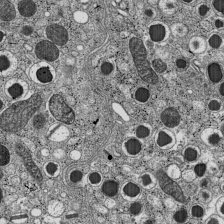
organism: C57BL Mouse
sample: Pancreatic islet